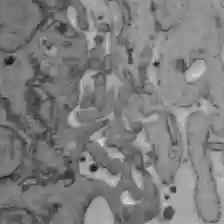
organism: C57BL Mouse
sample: Liver